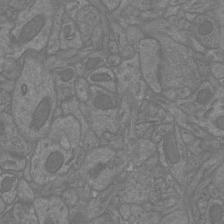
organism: Mouse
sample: Cortical neurons